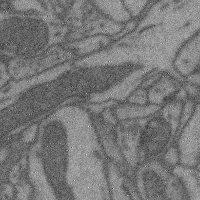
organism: Mouse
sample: Cerebral cortex